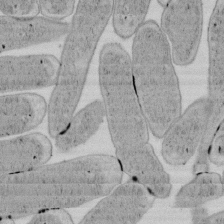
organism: E. coli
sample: Bacterial nucleoid